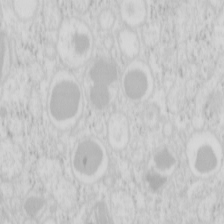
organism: Mouse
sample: Pancreas